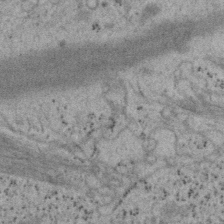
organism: Human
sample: HeLa cells